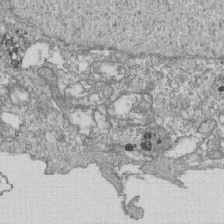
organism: Human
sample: HeLa cell HIV synapse